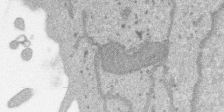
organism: Human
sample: Lung epithelial cells infected with SARS-CoV-2